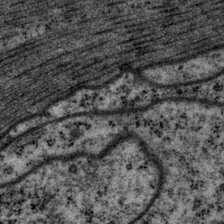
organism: P. pacificus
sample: Pharynx